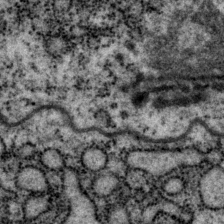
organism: P. pacificus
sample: Pharynx